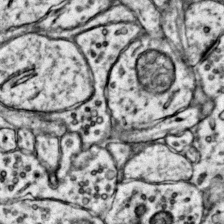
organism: Mouse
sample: Primary visual cortex